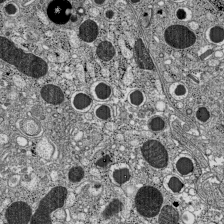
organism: C57BL Mouse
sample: Pancreatic islet